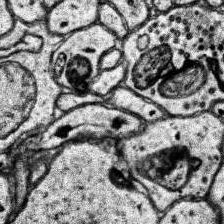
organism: Human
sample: Temporal Lobe